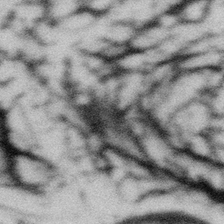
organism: Gemmata obscuriglobus